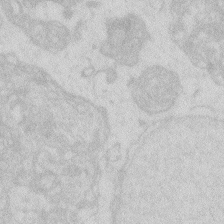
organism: Zebrafish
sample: Macrophage